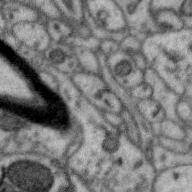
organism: Zebra finch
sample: Brain